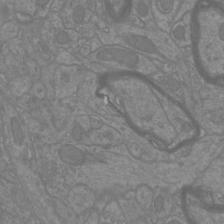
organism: Mouse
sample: Cortical neurons